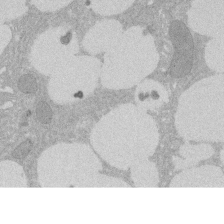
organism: Rat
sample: Salivary granule